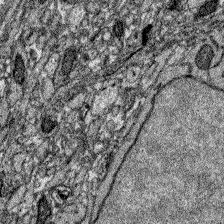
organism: Zebrafish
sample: Larval olfactory bulb